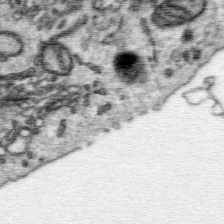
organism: Human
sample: HeLa cells